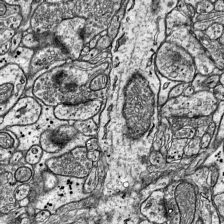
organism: Mouse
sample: Visual Cortex